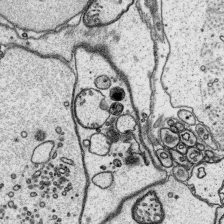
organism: Platynereis dumerilii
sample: Parapodia